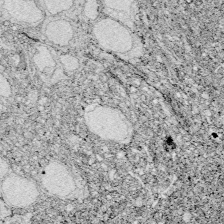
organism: Zebrafish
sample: Whole-Brain